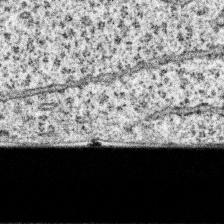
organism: Human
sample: HeLa cells